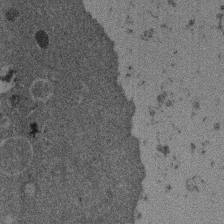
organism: Mouse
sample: Dividing mouse embryo 1 cell stage